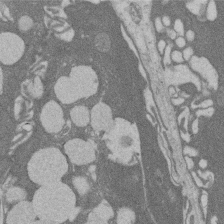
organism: Rat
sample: Salivary granule